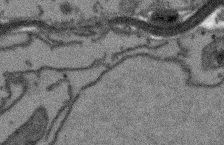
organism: Arabidopsis thaliana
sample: Root tip